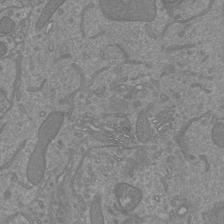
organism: Mouse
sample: Cortical neurons